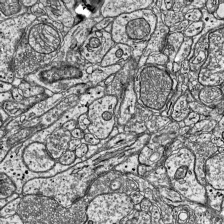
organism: Mouse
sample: Visual Cortex